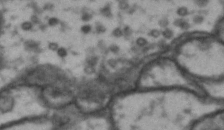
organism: Drosophila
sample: Brain